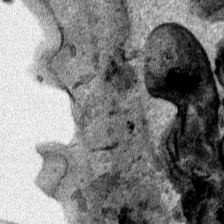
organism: Human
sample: Mitochondria in HCT116 cells